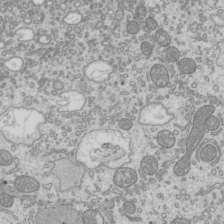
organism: Mouse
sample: Cilia; mouse epididymis